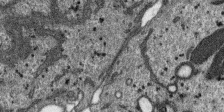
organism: Human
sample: Lung epithelial cells infected with SARS-CoV-2